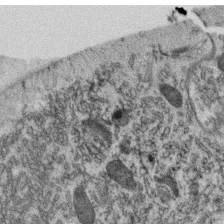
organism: C. elegans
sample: C. elegans oocyte; sperm cells